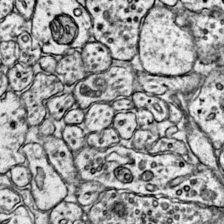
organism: Mouse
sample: Primary visual cortex